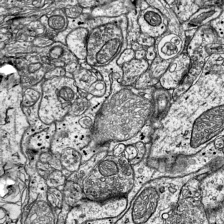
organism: Mouse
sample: Visual Cortex